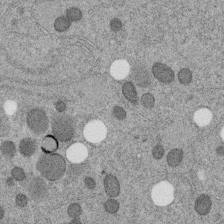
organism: C. elegans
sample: C. elegans embryo early stage